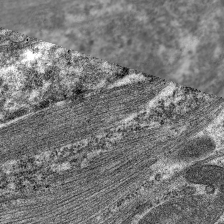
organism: C. elegans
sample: Pharynx